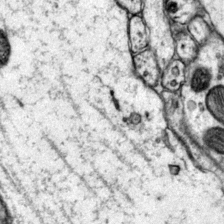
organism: Mouse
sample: Primary visual cortex